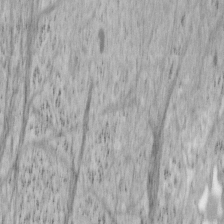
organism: Human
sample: HeLa cells